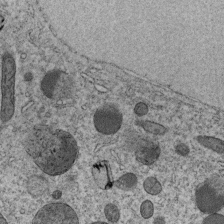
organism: C. elegans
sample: C. elegans embryo early stage